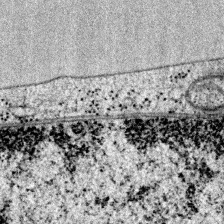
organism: Human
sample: HeLa cells